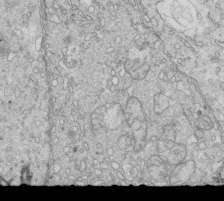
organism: Mouse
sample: Multiciliated cells